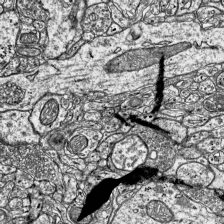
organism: Mouse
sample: Visual Cortex